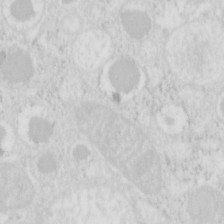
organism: Mouse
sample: Pancreas